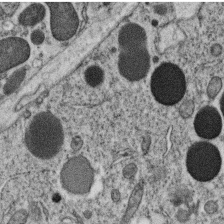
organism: C. elegans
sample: C. elegans oocyte; sperm cells